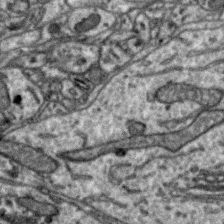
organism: Zebra finch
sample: Brain